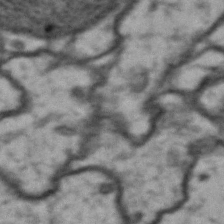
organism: Drosophila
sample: Brain